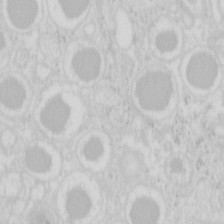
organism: Mouse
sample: Pancreas